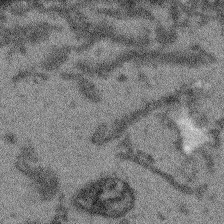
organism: Arabidopsis thaliana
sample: Root tip